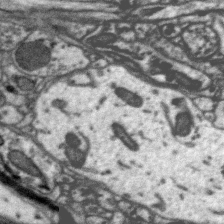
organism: Zebra finch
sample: Brain